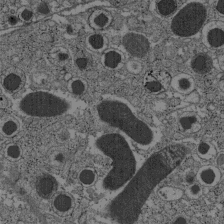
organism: C57BL Mouse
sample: Pancreatic islet